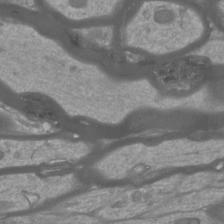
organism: Mouse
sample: Cortical neurons